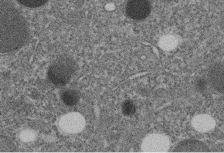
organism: C. elegans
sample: C. elegans embryo early stage